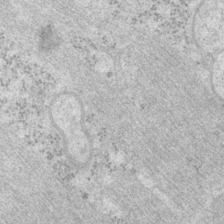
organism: P. pacificus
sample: Pharynx